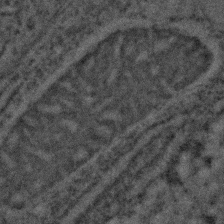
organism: C. elegans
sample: C. elegans embryo